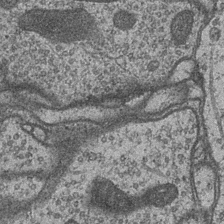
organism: Drosophila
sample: Optic medulla